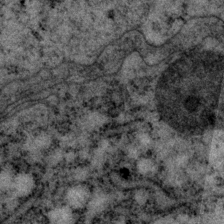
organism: P. pacificus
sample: Pharynx